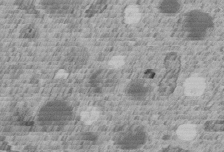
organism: C. elegans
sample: C. elegans embryo early stage